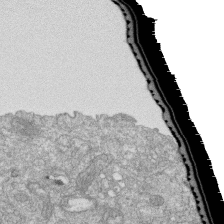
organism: Human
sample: HeLa cell HIV synapse